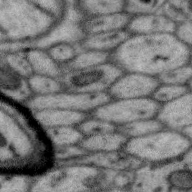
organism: Zebra finch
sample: Brain